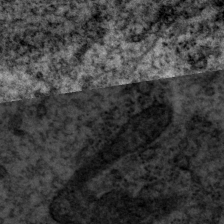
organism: P. pacificus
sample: Pharynx